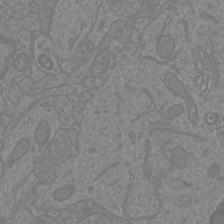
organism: Mouse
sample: Cortical neurons